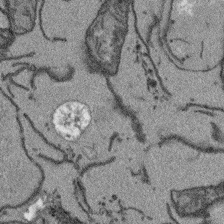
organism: Arabidopsis thaliana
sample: Root tip